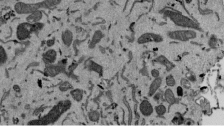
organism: Mouse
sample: ED-1 cell nuclei; centrioles